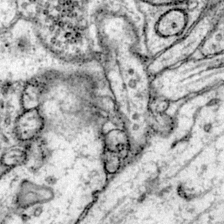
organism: Mouse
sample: Primary visual cortex